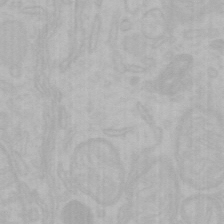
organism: Mouse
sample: Choroid plexus